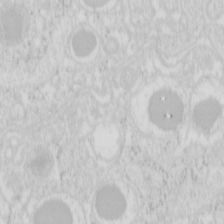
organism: Mouse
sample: Pancreas